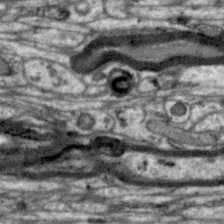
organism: Zebra finch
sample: Brain